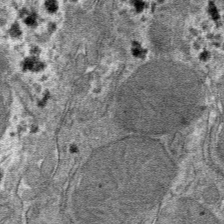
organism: Mouse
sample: Mouse hepatocytes